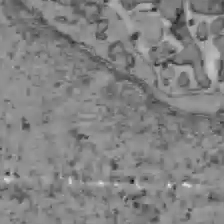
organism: C57BL Mouse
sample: Liver